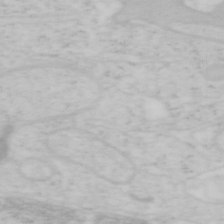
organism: Mouse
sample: OT-I killer T cells with ID8 ovarian cancer cells